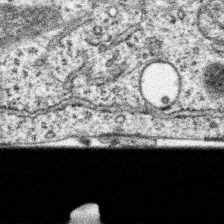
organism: Human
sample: HeLa cells